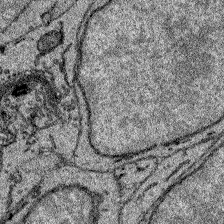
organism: Zebrafish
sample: Larval olfactory bulb